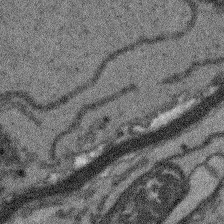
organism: Arabidopsis thaliana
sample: Root tip